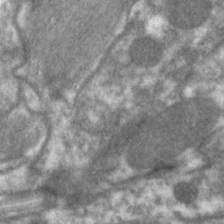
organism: C. elegans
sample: Pharynx